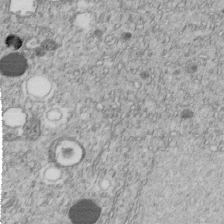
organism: C. elegans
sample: C. elegans embryo early stage